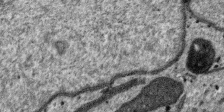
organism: Human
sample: Lung epithelial cells, uninfected (mock) control